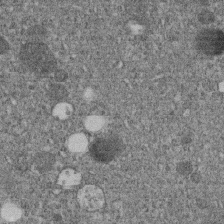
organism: C. elegans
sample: C. elegans embryo early stage